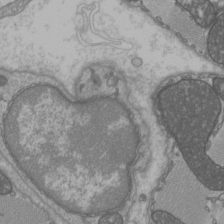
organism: C57BL Mouse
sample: Heart